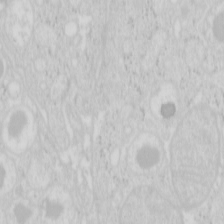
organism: Mouse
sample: Pancreas